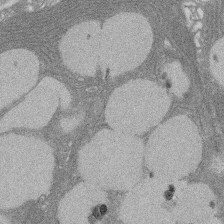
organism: Rat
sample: Salivary granule